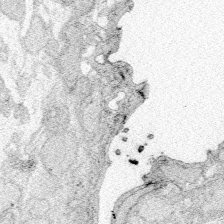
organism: Zebrafish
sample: Whole-Brain